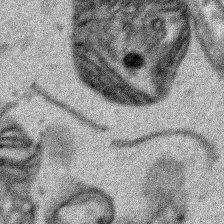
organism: Human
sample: Mitochondria in HCT116 cells